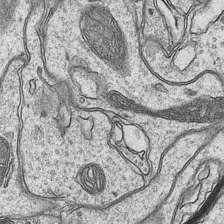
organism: Mouse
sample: CA1 Hippocampus